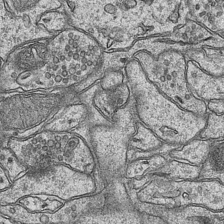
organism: Mouse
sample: CA1 Hippocampus